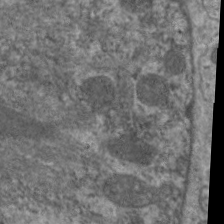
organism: C. elegans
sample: Pharynx